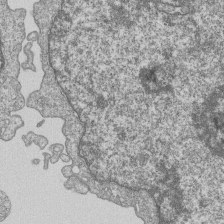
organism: Human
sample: MDA-MB-231 cells